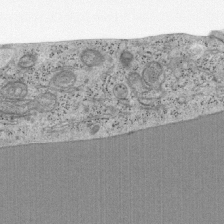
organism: Human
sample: HeLa cells